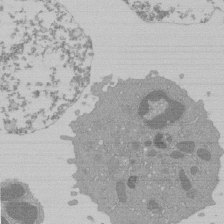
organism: Mouse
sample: Activated Pmel transgenic CD8+ T Cells